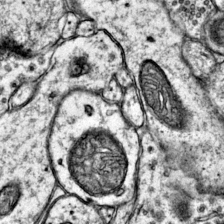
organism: Mouse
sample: Primary visual cortex